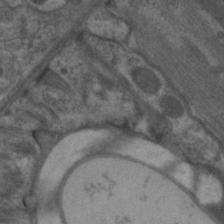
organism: C. elegans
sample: Pharynx